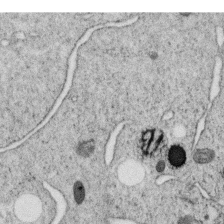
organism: C. elegans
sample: C. elegans oocyte; sperm cells